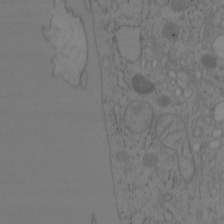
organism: Human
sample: HeLa cells